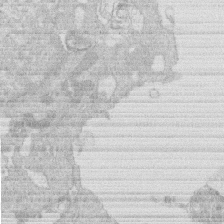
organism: Human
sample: Macrophage cells